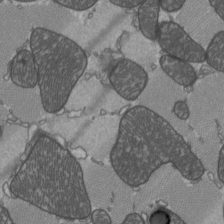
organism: C57BL Mouse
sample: Heart